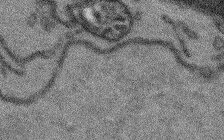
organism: Arabidopsis thaliana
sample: Root tip